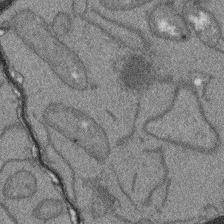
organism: Arabidopsis thaliana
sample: Root tip